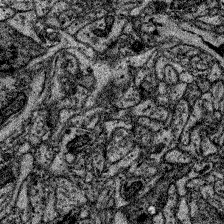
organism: Zebrafish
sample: Larval olfactory bulb